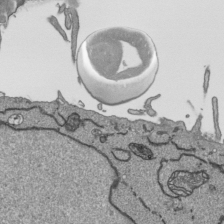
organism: Human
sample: Mitochondria in HCT116 cells